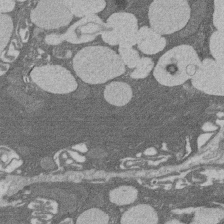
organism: Rat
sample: Salivary granule